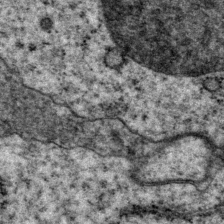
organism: P. pacificus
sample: Pharynx